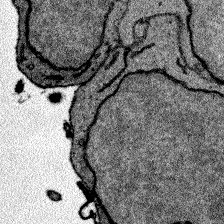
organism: Zebrafish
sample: Larval olfactory bulb